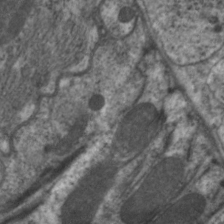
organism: C. elegans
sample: Pharynx